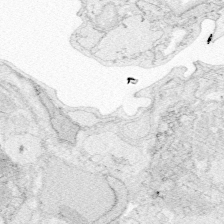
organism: Zebrafish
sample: Whole-Brain